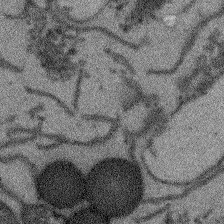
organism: Arabidopsis thaliana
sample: Root tip